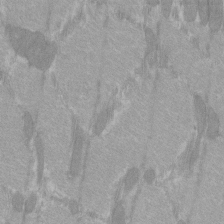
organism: C57BL Mouse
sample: Tibialis anterior muscle cell